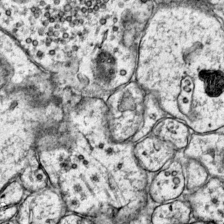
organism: Mouse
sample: Primary visual cortex